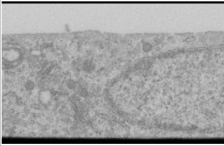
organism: Human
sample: Cilia; basal body in RPE cells